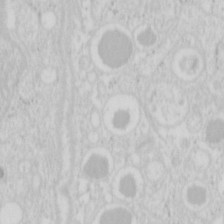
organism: Mouse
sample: Pancreas